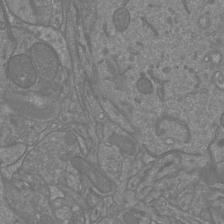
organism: Mouse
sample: Cortical neurons